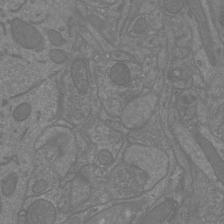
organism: Mouse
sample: Cortical neurons